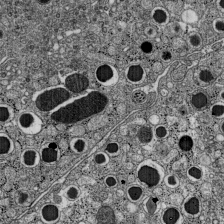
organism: C57BL Mouse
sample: Pancreatic islet